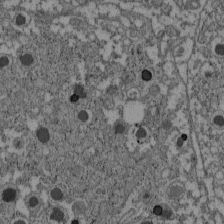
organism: C57BL Mouse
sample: Pancreatic islet